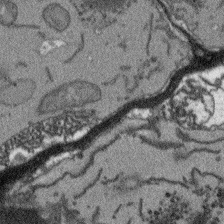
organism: Arabidopsis thaliana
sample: Root tip